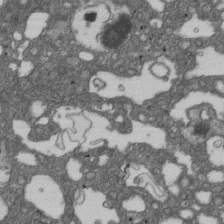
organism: Drosophila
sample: Nephrocyte